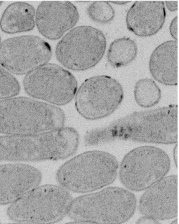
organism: E. coli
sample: Bacterial nucleoid